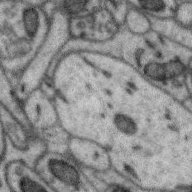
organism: Zebra finch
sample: Brain